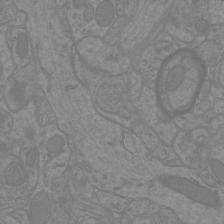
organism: Mouse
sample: Cortical neurons